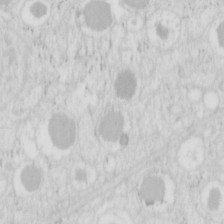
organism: Mouse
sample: Pancreas